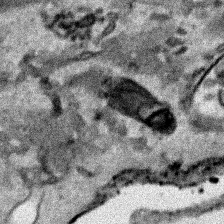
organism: Human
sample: Mitochondria in HCT116 cells